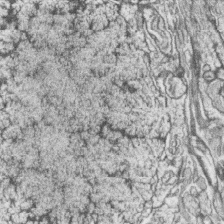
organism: Zebrafish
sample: synaptic ribbons in rod cells and cone cells